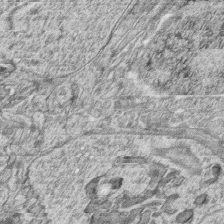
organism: Zebrafish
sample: synaptic ribbons in rod cells and cone cells